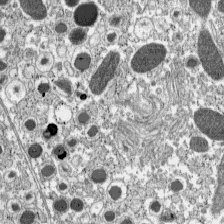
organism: C57BL Mouse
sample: Pancreatic islet